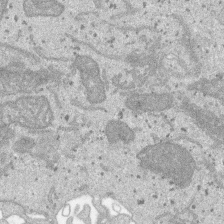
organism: Human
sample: Lung epithelial cells infected with SARS-CoV-2